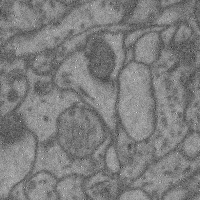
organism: Mouse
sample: Cerebral cortex